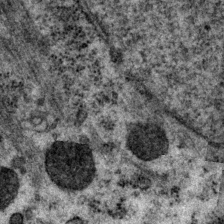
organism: P. pacificus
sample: Pharynx